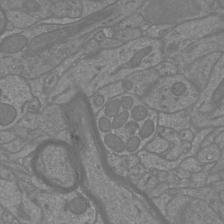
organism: Mouse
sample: Cortical neurons